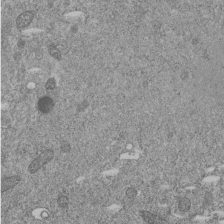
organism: C. elegans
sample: C. elegans embryo early stage